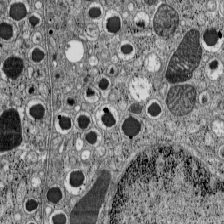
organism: C57BL Mouse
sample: Pancreatic islet